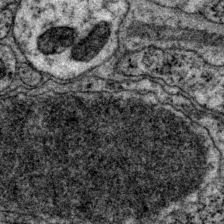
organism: P. pacificus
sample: Pharynx